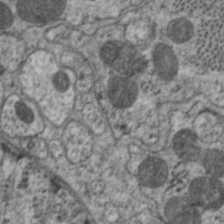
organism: C. elegans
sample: Pharynx